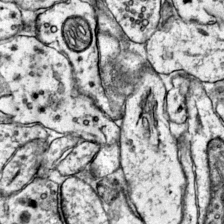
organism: Mouse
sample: Primary visual cortex